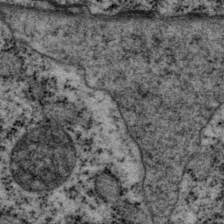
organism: P. pacificus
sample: Pharynx